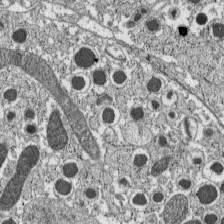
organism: C57BL Mouse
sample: Pancreatic islet